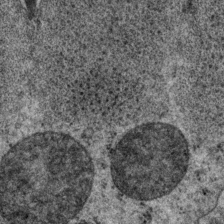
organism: P. pacificus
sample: Pharynx